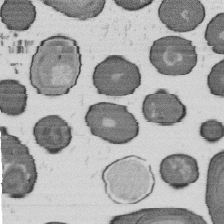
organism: B. subtilis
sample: Bacterial spore